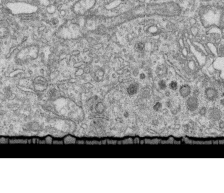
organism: Human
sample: HeLa cell HIV synapse